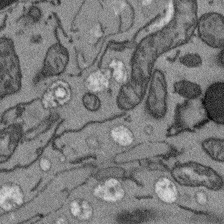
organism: Arabidopsis thaliana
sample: Root tip